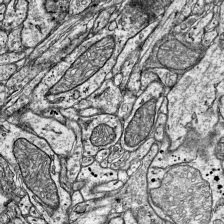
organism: Mouse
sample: Visual Cortex